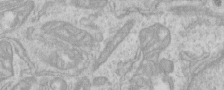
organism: Human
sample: Centriole in RPE cells